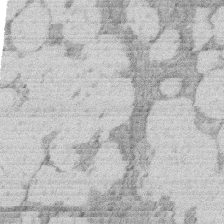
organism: Rat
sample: Salivary granule